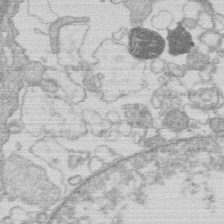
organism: Human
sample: Macrophage cells